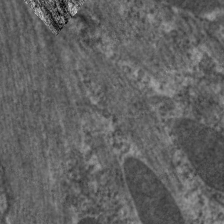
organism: C. elegans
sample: Pharynx